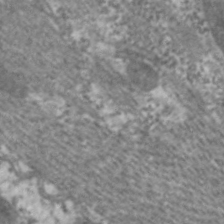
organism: C. elegans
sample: Pharynx